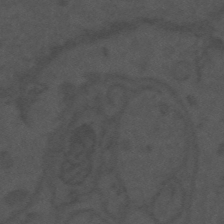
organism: Mouse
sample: Suprachiasmatic nucleus